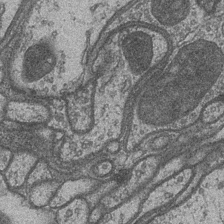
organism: Drosophila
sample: Optic medulla